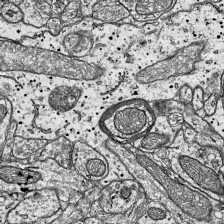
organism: Mouse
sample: Visual Cortex